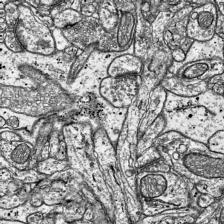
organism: Mouse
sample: Visual Cortex